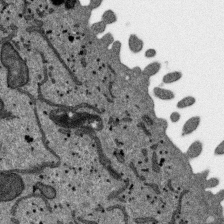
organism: Human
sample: Lung epithelial cells, uninfected (mock) control